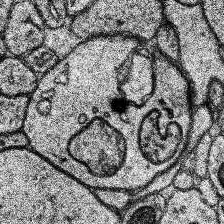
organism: Human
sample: Temporal Lobe